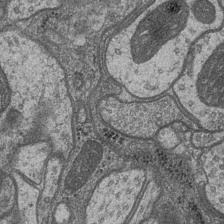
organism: Drosophila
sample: Optic medulla